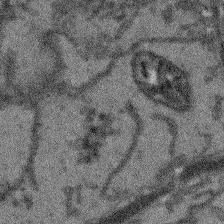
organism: Arabidopsis thaliana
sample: Root tip